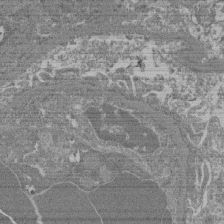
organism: Mouse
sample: Glomerulus